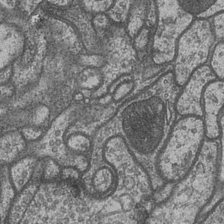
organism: Drosophila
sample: Optic medulla